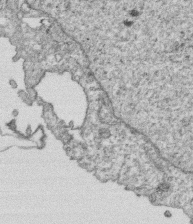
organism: Human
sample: HeLa cell HIV synapse